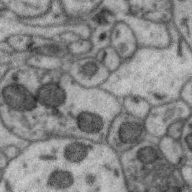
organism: Zebra finch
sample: Brain